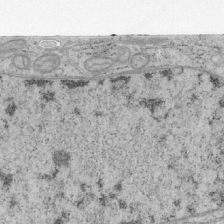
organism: Human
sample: HeLa cells